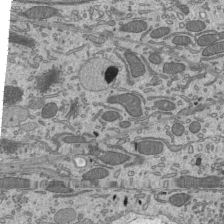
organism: Mouse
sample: Mouse epididymis efferent ductule cilia